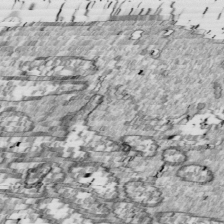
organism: Drosophila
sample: Cell division; meiosis; drosophila spermatocytes